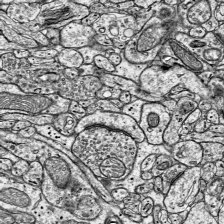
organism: Mouse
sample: Visual Cortex